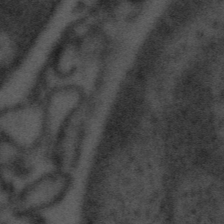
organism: Tuwongella immobilis